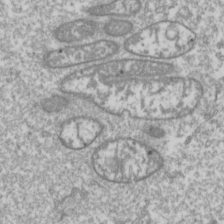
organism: Drosophila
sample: Cell division; meiosis; drosophila spermatocytes